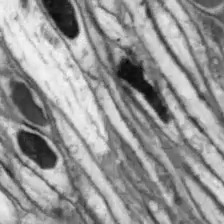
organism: Drosophila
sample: Optic lobe